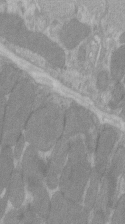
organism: C57BL Mouse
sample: Tibialis anterior muscle cell